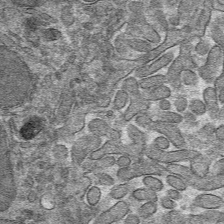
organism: Mouse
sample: Mouse hepatocytes